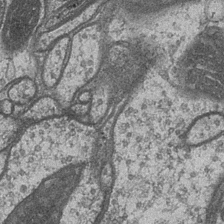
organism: Drosophila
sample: Optic medulla